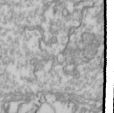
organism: Drosophila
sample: Cell division; meiosis; drosophila spermatocytes